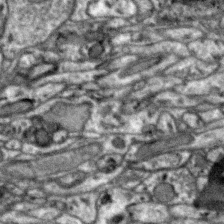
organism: Zebra finch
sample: Brain